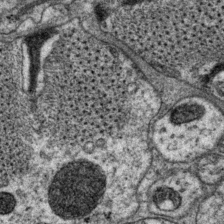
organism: P. pacificus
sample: Pharynx